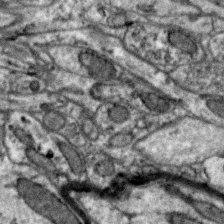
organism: Zebra finch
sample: Brain